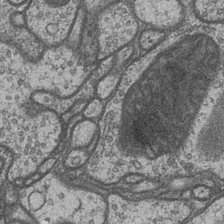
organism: Drosophila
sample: Optic medulla